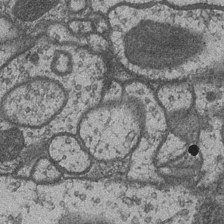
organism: Drosophila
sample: Optic medulla